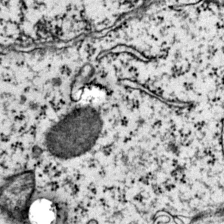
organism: Mouse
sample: Primary visual cortex